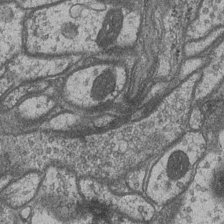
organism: Drosophila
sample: Optic medulla